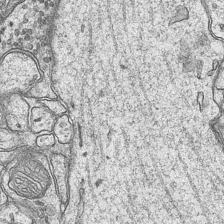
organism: Mouse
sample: CA1 Hippocampus